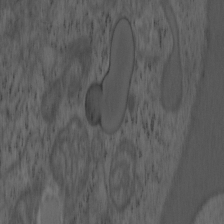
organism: Human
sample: HeLa cells